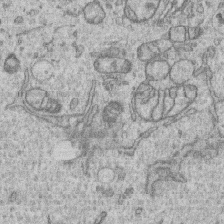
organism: Human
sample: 1205lu cells